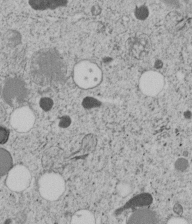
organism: C. elegans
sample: C. elegans embryo early stage